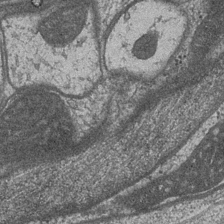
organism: Drosophila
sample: Optic medulla